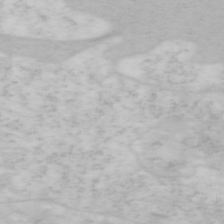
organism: Mouse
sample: OT-I killer T cells with ID8 ovarian cancer cells